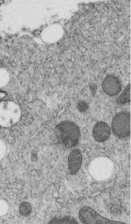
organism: C. elegans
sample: C. elegans embryo early stage